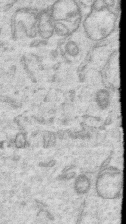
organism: Human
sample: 1205lu cells